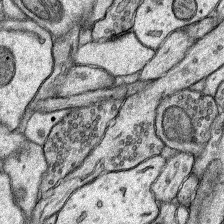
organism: Rat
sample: Hippocampus